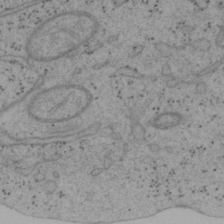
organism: Human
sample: HeLa cells